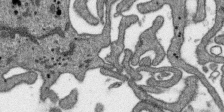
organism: Human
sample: Lung epithelial cells, uninfected (mock) control